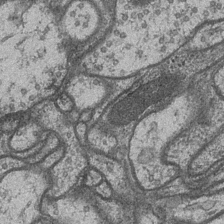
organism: Drosophila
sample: Optic medulla